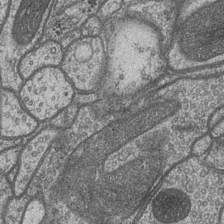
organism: Drosophila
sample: Optic medulla